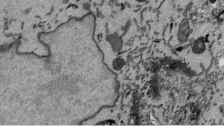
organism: Mouse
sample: ED-1 cell nuclei; centrioles